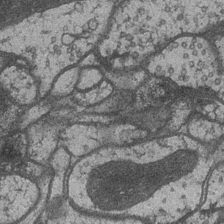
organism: Drosophila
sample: Optic medulla